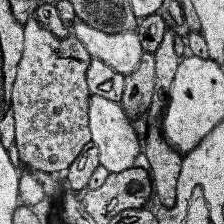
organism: Human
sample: Temporal Lobe